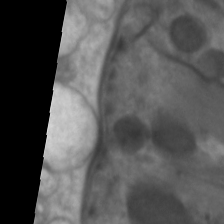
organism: C. elegans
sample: Pharynx